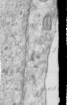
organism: Human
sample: Centriole in RPE cells